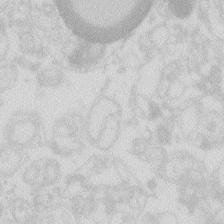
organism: Zebrafish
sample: Macrophage